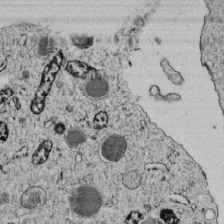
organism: C. elegans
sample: C. elegans embryo early stage